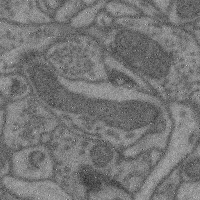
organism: Mouse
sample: Cerebral cortex